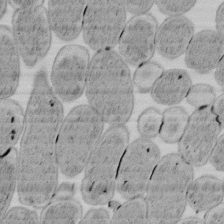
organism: E. coli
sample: Bacterial nucleoid